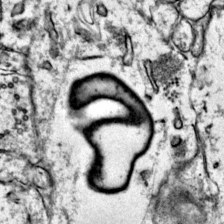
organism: Mouse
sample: Primary visual cortex